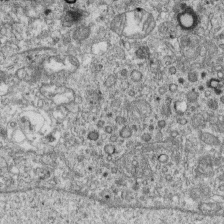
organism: Human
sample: HeLa cell HIV synapse